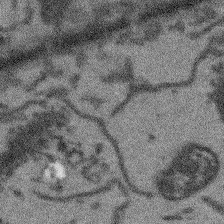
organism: Arabidopsis thaliana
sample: Root tip